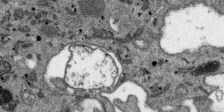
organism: Human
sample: Lung epithelial cells, uninfected (mock) control